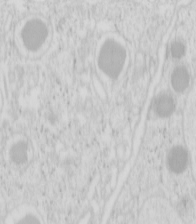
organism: Mouse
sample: Pancreas